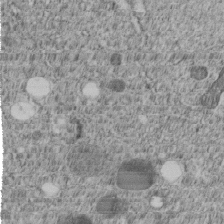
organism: C. elegans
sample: C. elegans embryo early stage